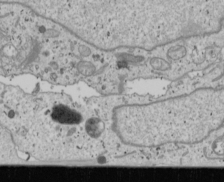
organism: Human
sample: Mitochondria in U2OS cells